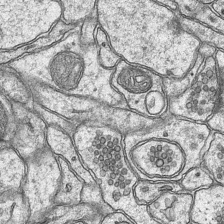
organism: Mouse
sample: CA1 Hippocampus